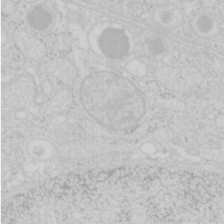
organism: Mouse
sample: Pancreas